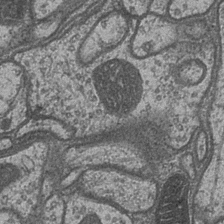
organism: Drosophila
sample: Optic medulla